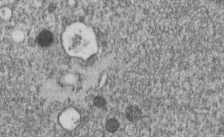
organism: C. elegans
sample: C. elegans embryo early stage